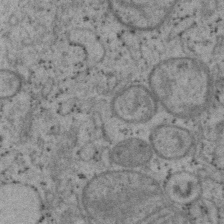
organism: Human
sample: HeLa cells